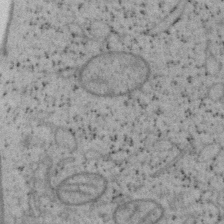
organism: Human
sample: HeLa cells